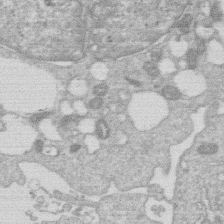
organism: Human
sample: Macrophage cells